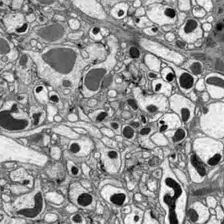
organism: Drosophila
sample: Optic lobe